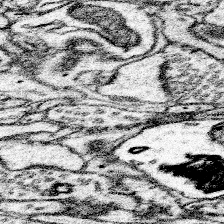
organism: Mouse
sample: Somatosensory cortex neuropil